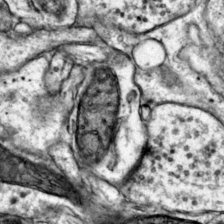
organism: Mouse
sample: Primary visual cortex